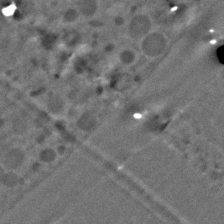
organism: C. elegans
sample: C. elegans embryo